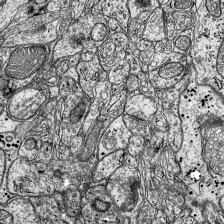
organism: Mouse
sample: Visual Cortex